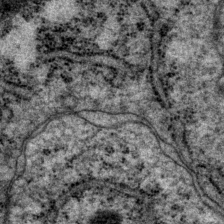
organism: P. pacificus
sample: Pharynx